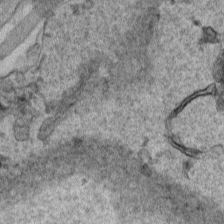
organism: Human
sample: Mitochondria in HCT116 cells